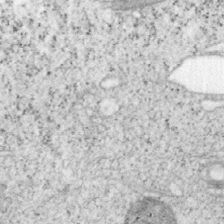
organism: Mouse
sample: OT-I killer T cells with ID8 ovarian cancer cells